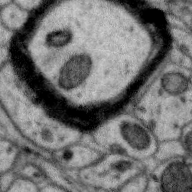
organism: Zebra finch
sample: Brain